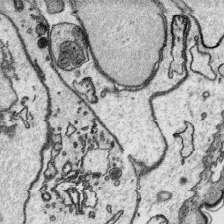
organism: Platynereis dumerilii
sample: Parapodia